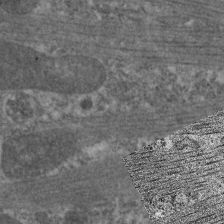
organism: C. elegans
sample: Pharynx